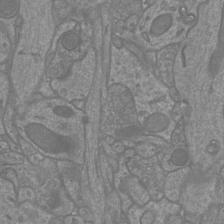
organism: Mouse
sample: Cortical neurons